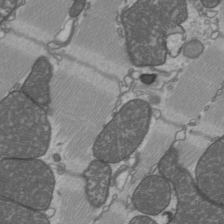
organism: C57BL Mouse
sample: Heart